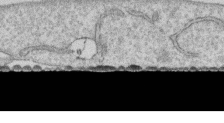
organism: Human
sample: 1205lu cells